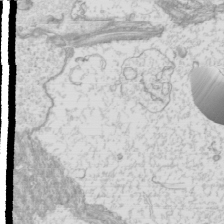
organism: Mouse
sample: Cilia; mouse epididymis